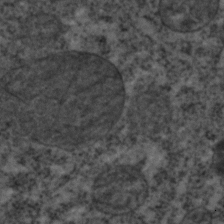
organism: C. elegans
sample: C. elegans embryo